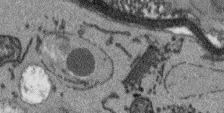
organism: Arabidopsis thaliana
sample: Root tip